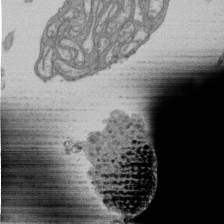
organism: Human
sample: Retinal organoid Rod and Cone cells